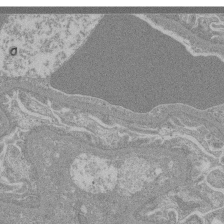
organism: Mouse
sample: Glomerulus